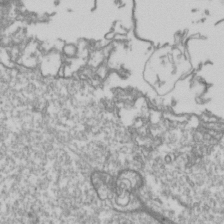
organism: Drosophila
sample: Cell division; meiosis; drosophila spermatocytes